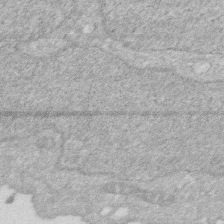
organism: Human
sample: HIV infected U937 cells